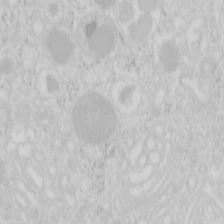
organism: Mouse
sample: Pancreas